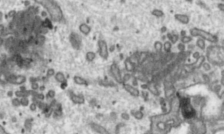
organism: Toxoplasma gondii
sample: Parasites in a vacuole inside a host cell